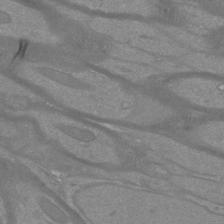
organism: Mouse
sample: Cortical neurons